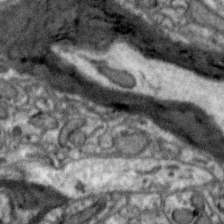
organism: Zebra finch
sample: Brain